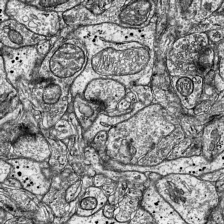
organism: Mouse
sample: Visual Cortex